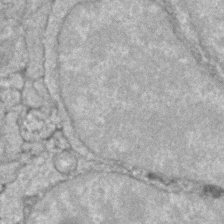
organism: Zebrafish